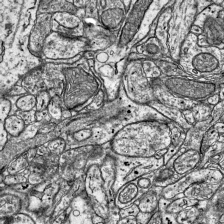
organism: Mouse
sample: Visual Cortex